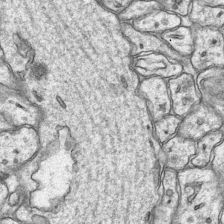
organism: Mouse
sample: CA1 Hippocampus